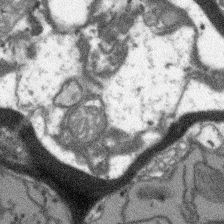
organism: Arabidopsis thaliana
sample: Root tip